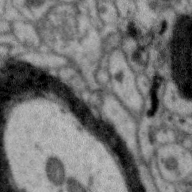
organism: Zebra finch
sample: Brain